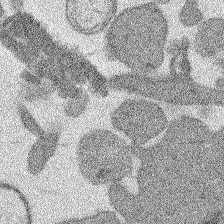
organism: Human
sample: HeLa cells